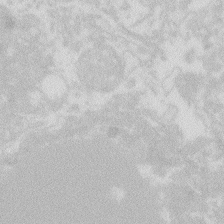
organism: Zebrafish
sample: Macrophage